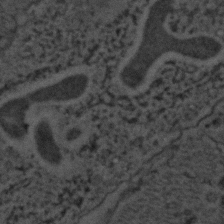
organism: C. elegans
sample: C. elegans embryo